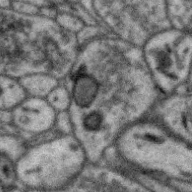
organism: Zebra finch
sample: Brain